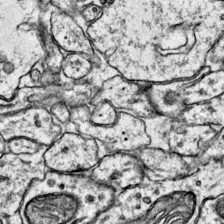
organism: Mouse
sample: Primary visual cortex